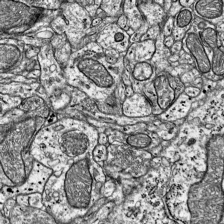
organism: Mouse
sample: Visual Cortex